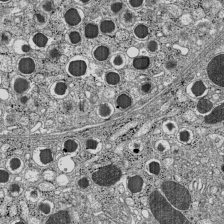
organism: C57BL Mouse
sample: Pancreatic islet